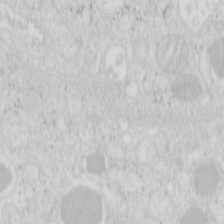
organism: Mouse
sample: Pancreas